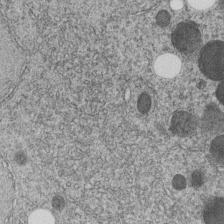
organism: C. elegans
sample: C. elegans embryo early stage